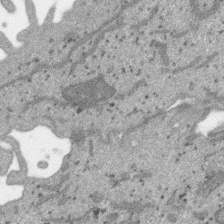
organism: Human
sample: Lung epithelial cells infected with SARS-CoV-2